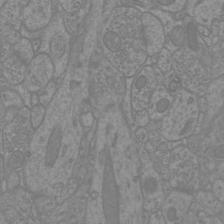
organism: Mouse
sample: Cortical neurons